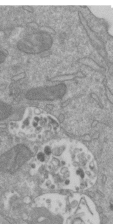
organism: Mouse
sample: ED-1 cell nuclei; centrioles